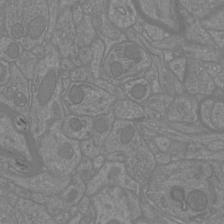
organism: Mouse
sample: Cortical neurons